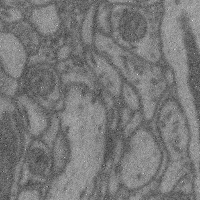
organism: Mouse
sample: Cerebral cortex